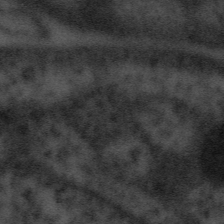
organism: Tuwongella immobilis